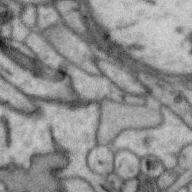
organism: Zebra finch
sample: Brain